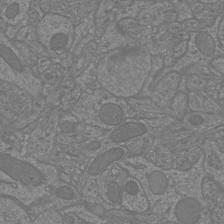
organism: Mouse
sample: Cortical neurons